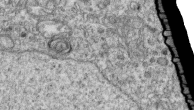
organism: Human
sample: HeLa cell HIV synapse